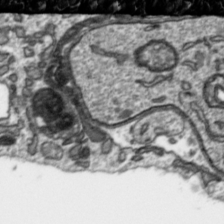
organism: Toxoplasma gondii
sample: Parasites in a vacuole inside a host cell